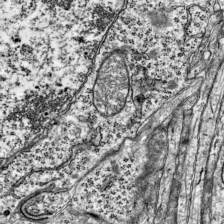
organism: Mouse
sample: Visual Cortex